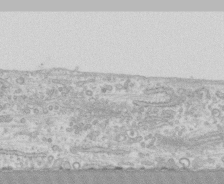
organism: Human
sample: CRL-1474